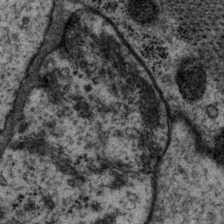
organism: P. pacificus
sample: Pharynx